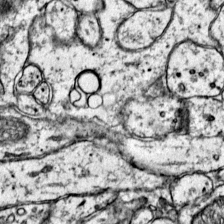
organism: Mouse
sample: Primary visual cortex